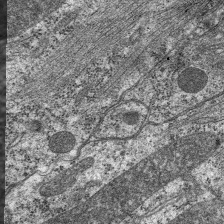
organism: C. elegans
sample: Pharynx